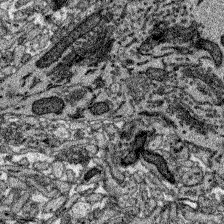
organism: Zebrafish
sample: Larval olfactory bulb